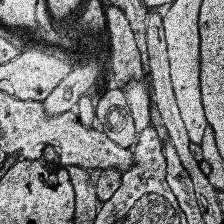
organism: Human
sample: Temporal Lobe